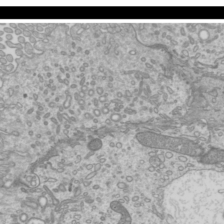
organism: Mouse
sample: Cilia; mouse epididymis